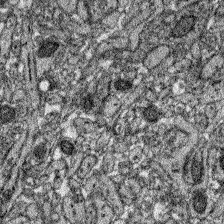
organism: Zebrafish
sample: Larval olfactory bulb